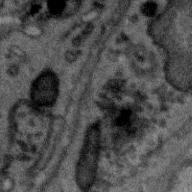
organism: Zebra finch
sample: Brain